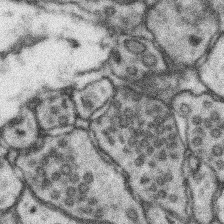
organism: Mouse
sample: Somatosensory cortex neuropil